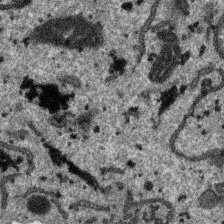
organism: Human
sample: Lung epithelial cells infected with SARS-CoV-2